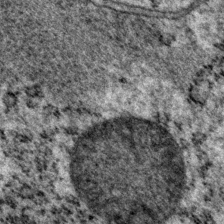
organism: P. pacificus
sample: Pharynx